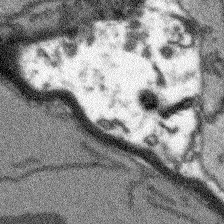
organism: Arabidopsis thaliana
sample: Root tip